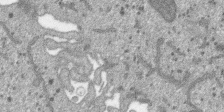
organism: Human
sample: Lung epithelial cells infected with SARS-CoV-2